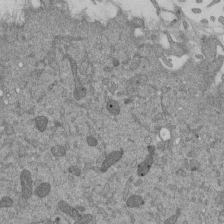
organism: Mouse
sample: ED-1 cell nuclei; centrioles